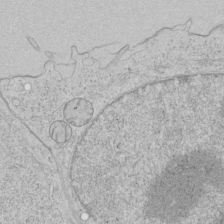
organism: Human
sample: Mitochondria in HCT116 cells